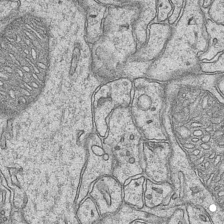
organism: Mouse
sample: CA1 Hippocampus